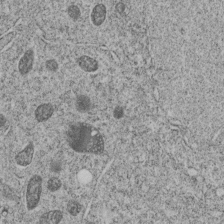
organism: C. elegans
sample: C. elegans embryo early stage